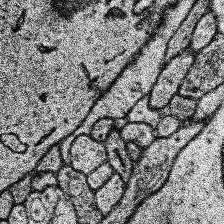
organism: Human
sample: Temporal Lobe